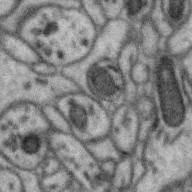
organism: Zebra finch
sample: Brain